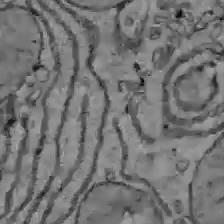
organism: C57BL Mouse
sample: Liver